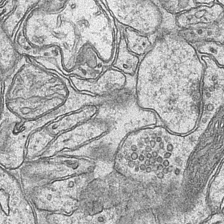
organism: Mouse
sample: CA1 Hippocampus